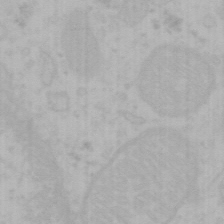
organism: Mouse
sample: Choroid plexus